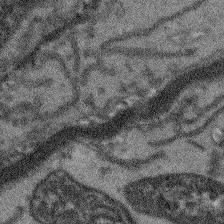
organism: Arabidopsis thaliana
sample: Root tip